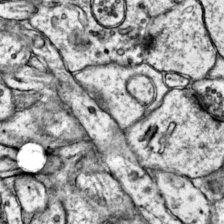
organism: Mouse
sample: Primary visual cortex